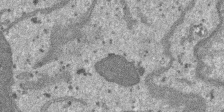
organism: Human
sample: Lung epithelial cells infected with SARS-CoV-2